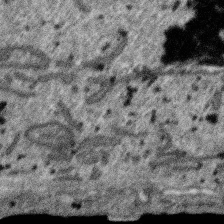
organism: Human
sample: Lung epithelial cells infected with SARS-CoV-2